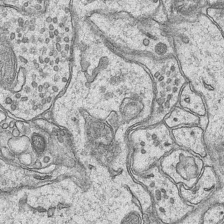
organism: Mouse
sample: CA1 Hippocampus